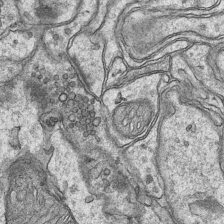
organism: Mouse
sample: CA1 Hippocampus